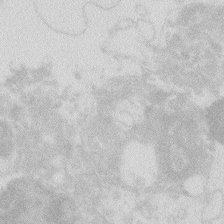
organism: Zebrafish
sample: Macrophage